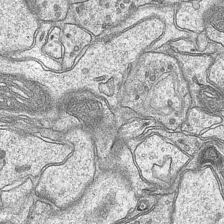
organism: Mouse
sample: CA1 Hippocampus